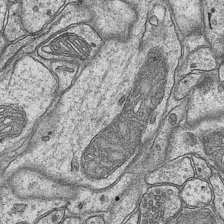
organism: Mouse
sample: CA1 Hippocampus